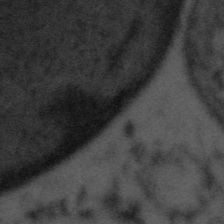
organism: Tuwongella immobilis